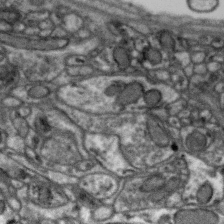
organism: Zebra finch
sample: Brain